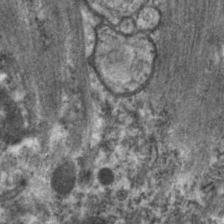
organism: C. elegans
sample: Pharynx